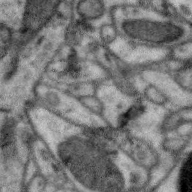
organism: Zebra finch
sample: Brain